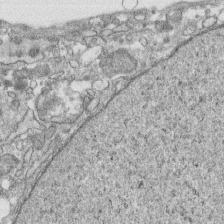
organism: Human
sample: CRL-1474